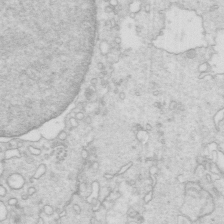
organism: Mouse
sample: Multiciliated cells